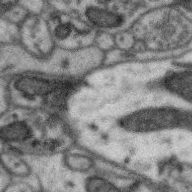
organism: Zebra finch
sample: Brain